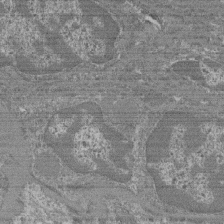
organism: Mouse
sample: Glomerulus